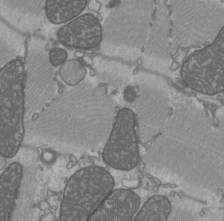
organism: C57BL Mouse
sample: Heart